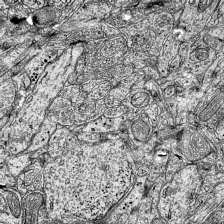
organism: Mouse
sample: Visual Cortex